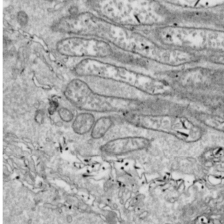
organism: Drosophila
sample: Cell division; meiosis; drosophila spermatocytes